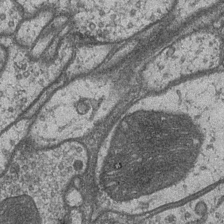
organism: Drosophila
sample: Optic medulla